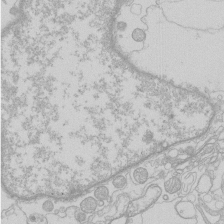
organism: Human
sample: Macrophage cells